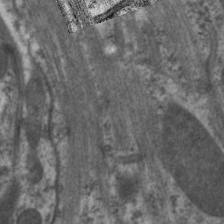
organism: C. elegans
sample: Pharynx